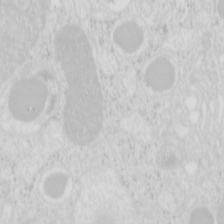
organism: Mouse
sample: Pancreas